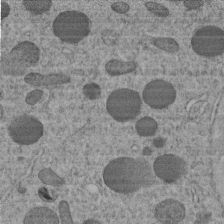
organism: C. elegans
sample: C. elegans embryo early stage